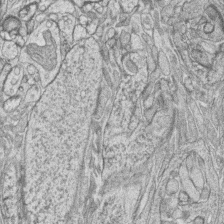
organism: Zebrafish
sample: synaptic ribbons in rod cells and cone cells